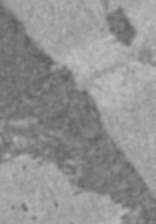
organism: C57BL Mouse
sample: Heart